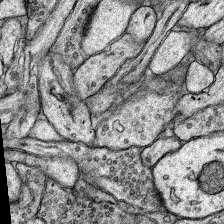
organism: Rat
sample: Hippocampus